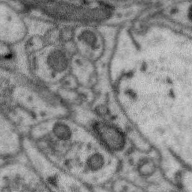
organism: Zebra finch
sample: Brain